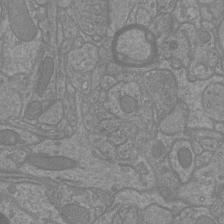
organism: Mouse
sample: Cortical neurons